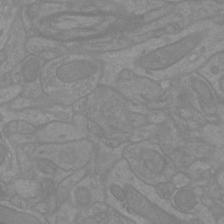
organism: Mouse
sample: Cortical neurons